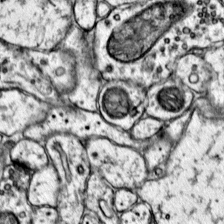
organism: Mouse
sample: Primary visual cortex